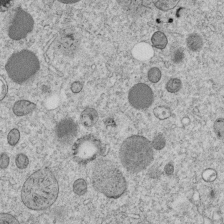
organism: C. elegans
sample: C. elegans embryo early stage